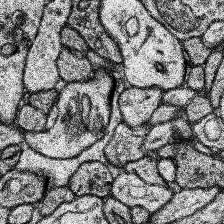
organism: Human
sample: Temporal Lobe